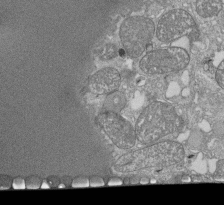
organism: Tetrahymena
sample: Cilia in tetrahymena